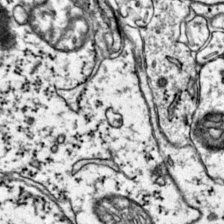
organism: Mouse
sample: Primary visual cortex